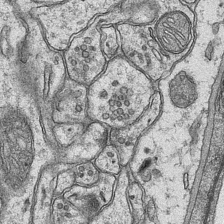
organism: Mouse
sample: CA1 Hippocampus